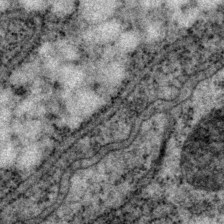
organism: P. pacificus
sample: Pharynx